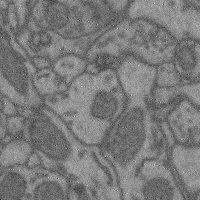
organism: Mouse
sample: Cerebral cortex